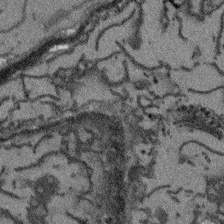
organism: Arabidopsis thaliana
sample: Root tip